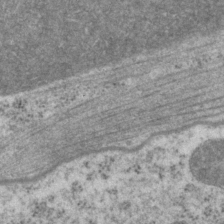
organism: P. pacificus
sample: Pharynx